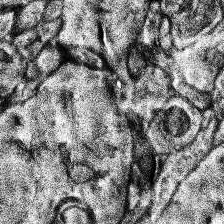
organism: Human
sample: Temporal Lobe